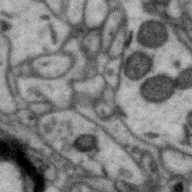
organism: Zebra finch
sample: Brain